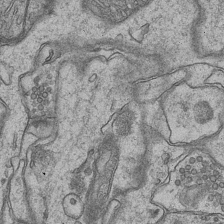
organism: Mouse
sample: CA1 Hippocampus